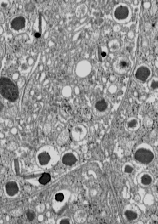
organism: C57BL Mouse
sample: Pancreatic islet